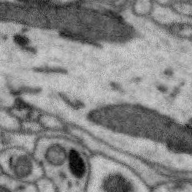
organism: Zebra finch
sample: Brain